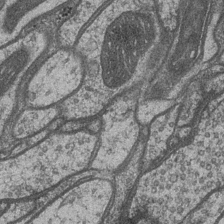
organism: Drosophila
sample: Optic medulla